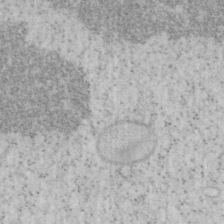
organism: Human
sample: HeLa cells